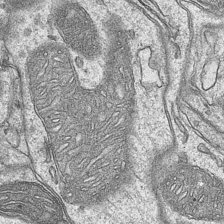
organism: Mouse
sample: CA1 Hippocampus